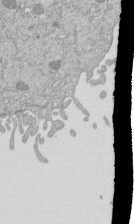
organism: Mouse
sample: ED-1 cell nuclei; centrioles